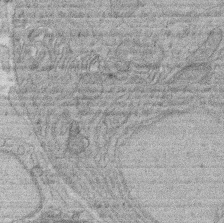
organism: Rat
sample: Salivary granule